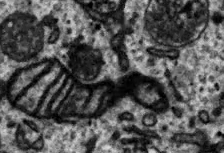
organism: Human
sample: HeLa cells